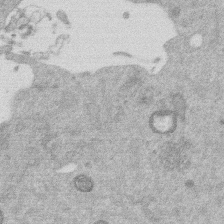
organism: Mouse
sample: Dividing mouse embryo 1 cell stage